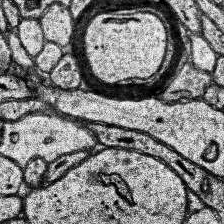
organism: Human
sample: Temporal Lobe